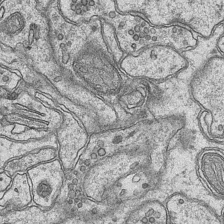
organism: Mouse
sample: CA1 Hippocampus